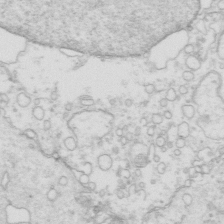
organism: Mouse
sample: Multiciliated cells